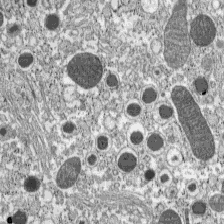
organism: C57BL Mouse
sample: Pancreatic islet